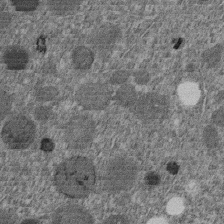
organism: C. elegans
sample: C. elegans embryo early stage